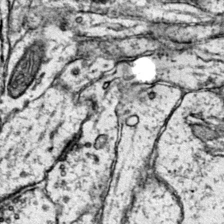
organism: Mouse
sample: Primary visual cortex